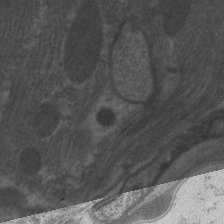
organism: C. elegans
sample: Pharynx